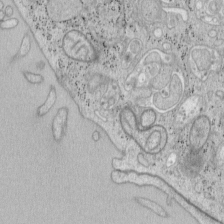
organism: Mouse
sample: OT-I killer T cells with ID8 ovarian cancer cells